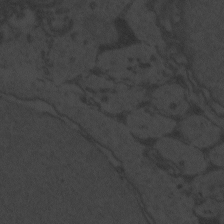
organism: Zebrafish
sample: Macrophage infected with Toxoplasma gondii